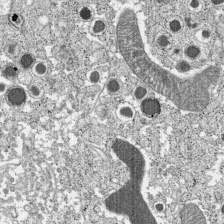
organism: C57BL Mouse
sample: Pancreatic islet